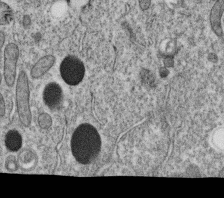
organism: C. elegans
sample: C. elegans oocyte; sperm cells